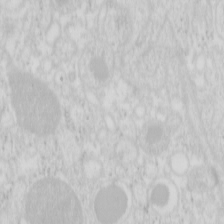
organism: Mouse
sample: Pancreas